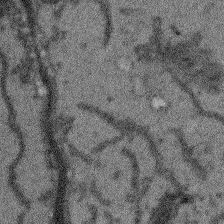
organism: Arabidopsis thaliana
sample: Root tip